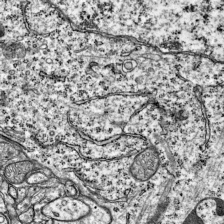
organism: Mouse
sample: Visual Cortex